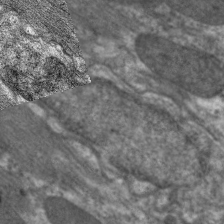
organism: C. elegans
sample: Pharynx